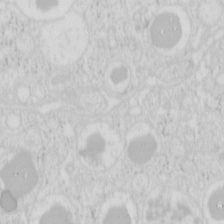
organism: Mouse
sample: Pancreas